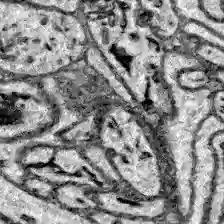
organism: Zebrafish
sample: Brain